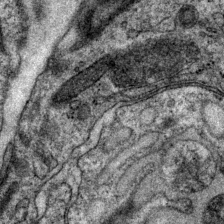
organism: P. pacificus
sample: Pharynx